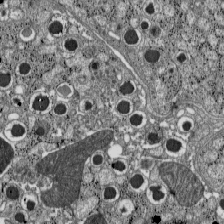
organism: C57BL Mouse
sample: Pancreatic islet